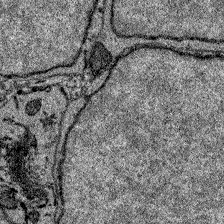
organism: Zebrafish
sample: Larval olfactory bulb